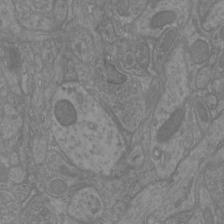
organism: Mouse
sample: Cortical neurons